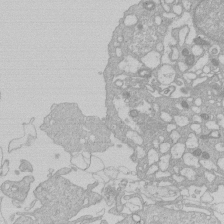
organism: Human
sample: Macrophage cells